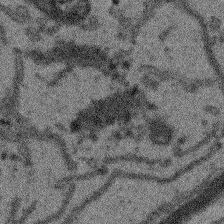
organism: Arabidopsis thaliana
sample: Root tip